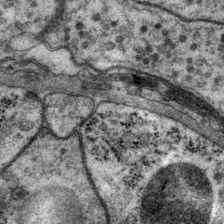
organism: P. pacificus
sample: Pharynx